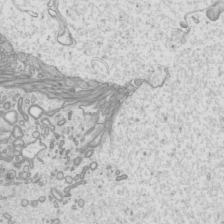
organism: Mouse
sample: Cilia; mouse epididymis